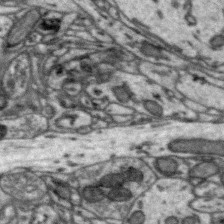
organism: Zebra finch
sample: Brain